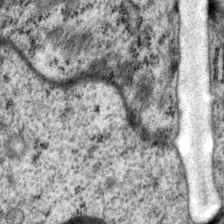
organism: P. pacificus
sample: Pharynx